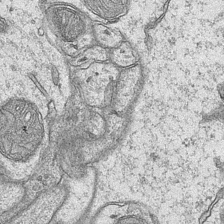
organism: Mouse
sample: CA1 Hippocampus